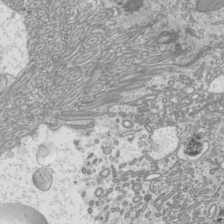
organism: Mouse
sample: Cilia; mouse epididymis